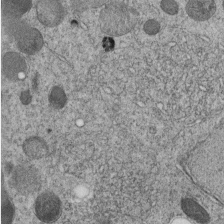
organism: C. elegans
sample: C. elegans embryo early stage